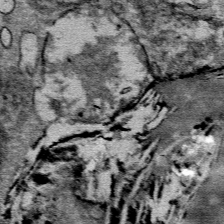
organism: Mouse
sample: Mouse Salivary gland